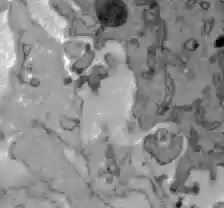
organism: C57BL Mouse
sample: Liver